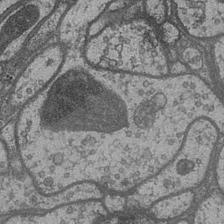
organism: Drosophila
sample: Optic medulla